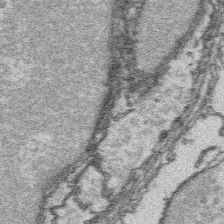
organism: Platynereis dumerilii